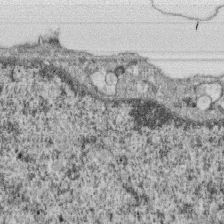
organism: African green monkey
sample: Vero E6 cells infected with SARS-CoV-2